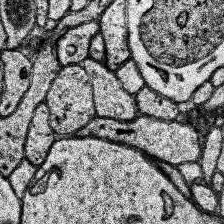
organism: Human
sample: Temporal Lobe